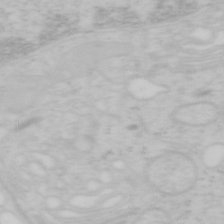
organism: Mouse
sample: OT-I killer T cells with ID8 ovarian cancer cells